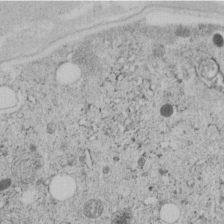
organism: C. elegans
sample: C. elegans embryo early stage